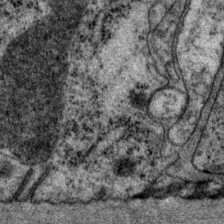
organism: P. pacificus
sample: Pharynx